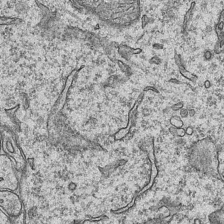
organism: Mouse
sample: CA1 Hippocampus